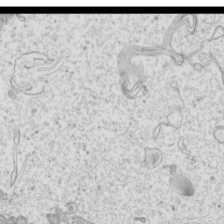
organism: Mouse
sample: Cilia; mouse epididymis